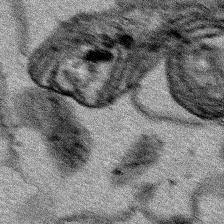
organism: Human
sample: Mitochondria in HCT116 cells